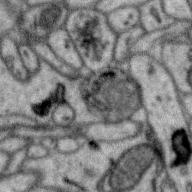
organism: Zebra finch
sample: Brain